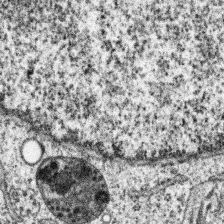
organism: Human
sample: HeLa cells